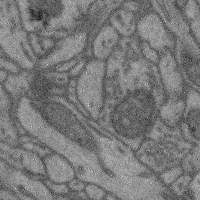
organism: Mouse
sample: Cerebral cortex